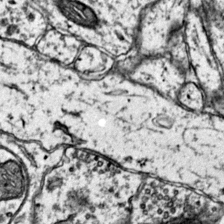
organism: Mouse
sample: Primary visual cortex